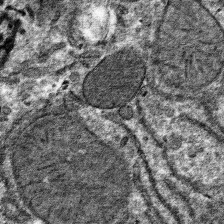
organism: Mouse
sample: Mouse hepatocytes